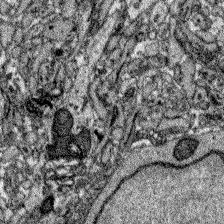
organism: Zebrafish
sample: Larval olfactory bulb